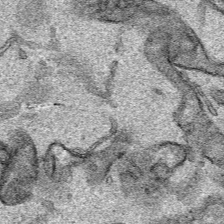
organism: Human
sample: Mitochondria in HCT116 cells